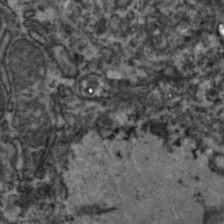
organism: Zebrafish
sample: Zebrafish embryo